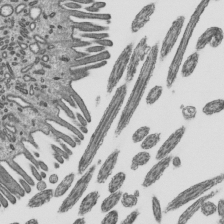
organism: Mouse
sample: Mouse epididymis efferent ductule cilia